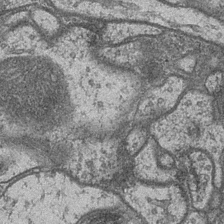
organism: Drosophila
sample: Optic medulla